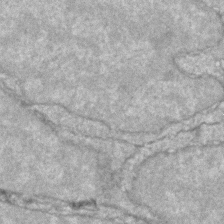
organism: Zebrafish